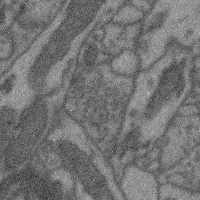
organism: Mouse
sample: Cerebral cortex